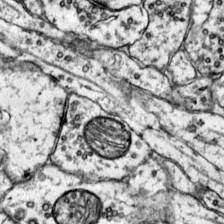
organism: Mouse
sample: Primary visual cortex